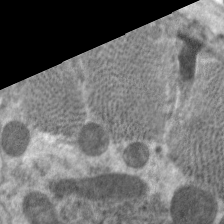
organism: C. elegans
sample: Pharynx